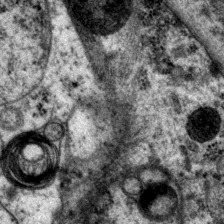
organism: P. pacificus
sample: Pharynx